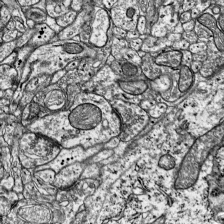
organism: Mouse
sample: Visual Cortex